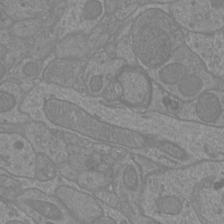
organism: Mouse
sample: Cortical neurons